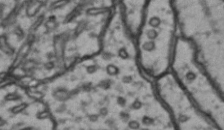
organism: Drosophila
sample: Brain